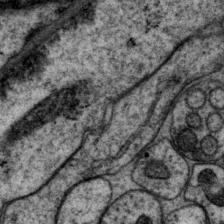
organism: P. pacificus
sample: Pharynx